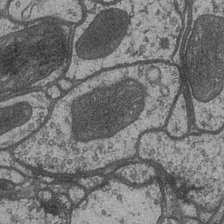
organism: Drosophila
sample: Optic medulla